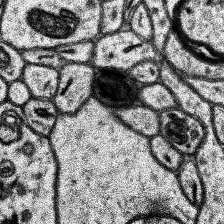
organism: Human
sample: Temporal Lobe